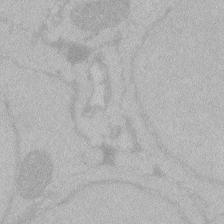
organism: Zebrafish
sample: Macrophage infected with Toxoplasma gondii